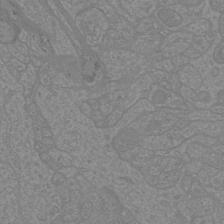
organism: Mouse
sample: Cortical neurons